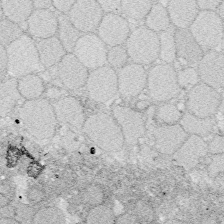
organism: Zebrafish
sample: Whole-Brain